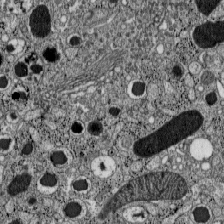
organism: C57BL Mouse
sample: Pancreatic islet